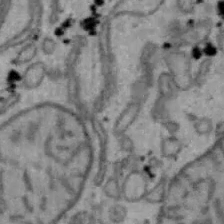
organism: Mouse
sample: Liver